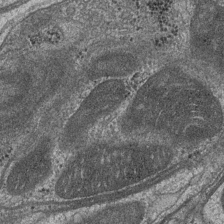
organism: Drosophila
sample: Optic medulla